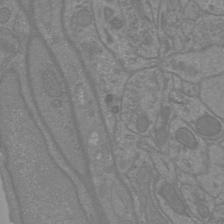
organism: Mouse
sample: Cortical neurons